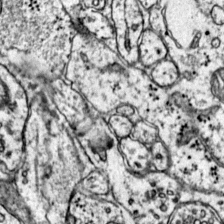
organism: Mouse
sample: Primary visual cortex